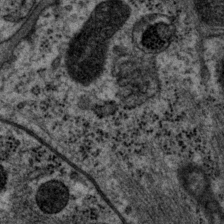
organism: P. pacificus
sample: Pharynx